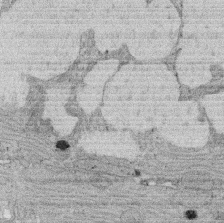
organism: Rat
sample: Salivary granule